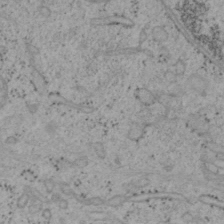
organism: Human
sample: HeLa cells